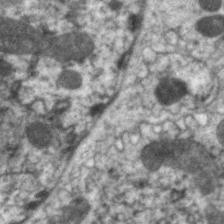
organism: C. elegans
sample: Pharynx